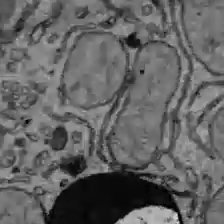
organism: C57BL Mouse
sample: Liver